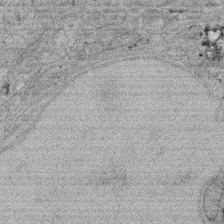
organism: Rat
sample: Salivary granule